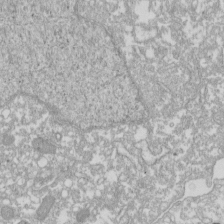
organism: Xenopus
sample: Cilia; centrioles in frog embryo cells